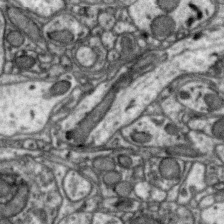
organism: Zebra finch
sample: Brain